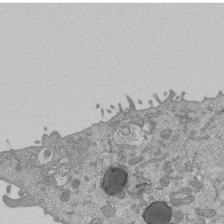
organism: Mouse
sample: ED-1 cell nuclei; centrioles